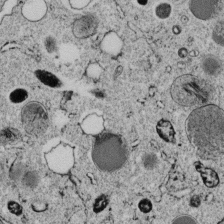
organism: C. elegans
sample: C. elegans embryo early stage